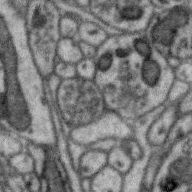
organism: Zebra finch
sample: Brain